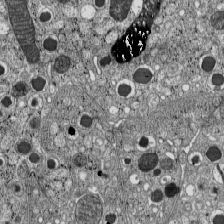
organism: C57BL Mouse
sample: Pancreatic islet